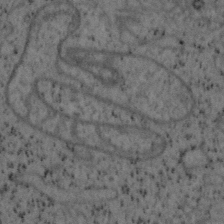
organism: Human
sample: HeLa cells